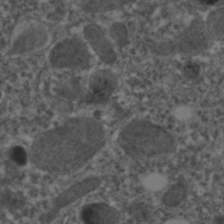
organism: C. elegans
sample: C. elegans embryo